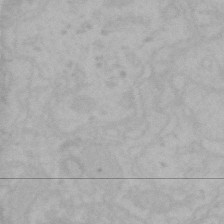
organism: Mouse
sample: Choroid plexus